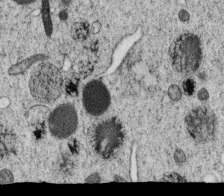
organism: C. elegans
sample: C. elegans oocyte; sperm cells